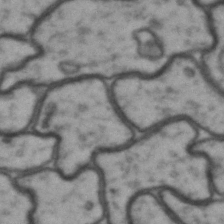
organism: Drosophila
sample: Brain